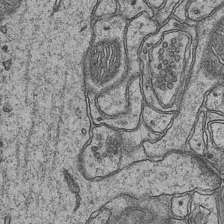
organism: Mouse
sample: CA1 Hippocampus